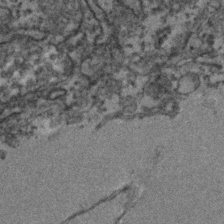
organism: Zebrafish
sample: Zebrafish embryo